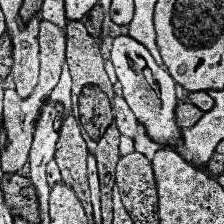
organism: Human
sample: Temporal Lobe